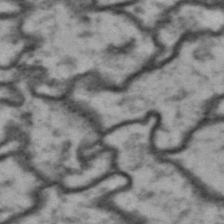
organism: Drosophila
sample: Brain